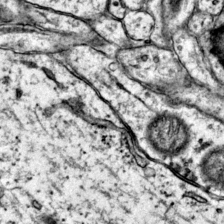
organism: Mouse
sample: Primary visual cortex